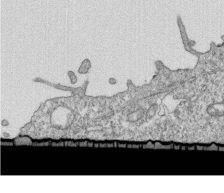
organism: Human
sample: HeLa cell HIV synapse